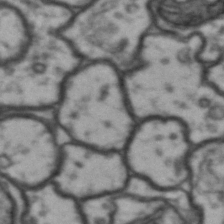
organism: Drosophila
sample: Brain